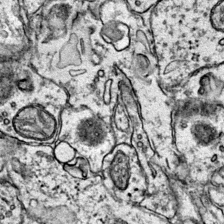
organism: Mouse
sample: Primary visual cortex